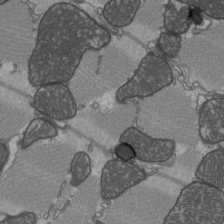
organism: C57BL Mouse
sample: Heart